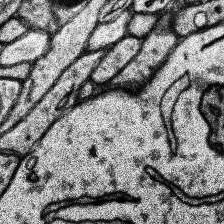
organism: Human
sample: Temporal Lobe